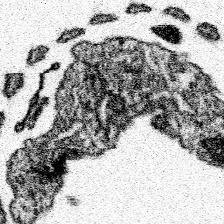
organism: Spongilla lacustris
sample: Neuroid cell